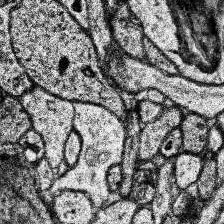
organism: Human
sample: Temporal Lobe